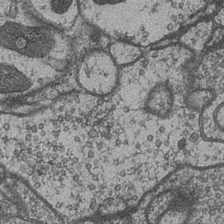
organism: Drosophila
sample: Optic medulla